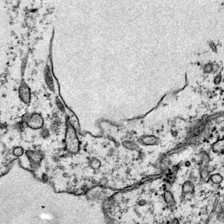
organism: Mouse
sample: Primary visual cortex